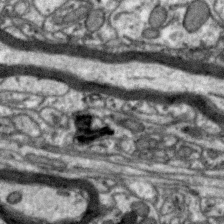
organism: Zebra finch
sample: Brain